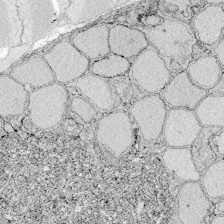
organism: Zebrafish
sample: Whole-Brain